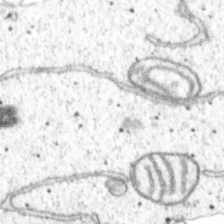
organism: Human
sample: HeLa cells